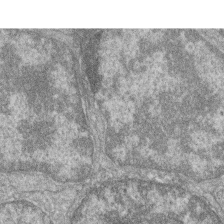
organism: Zebrafish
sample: Cilia; retinal pigment epithelium